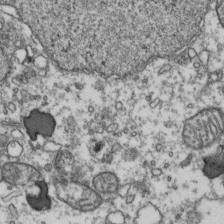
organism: Human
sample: Activated Jurkat CD4+ T cells